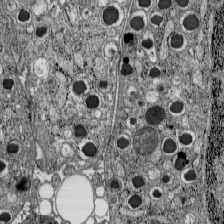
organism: C57BL Mouse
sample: Pancreatic islet